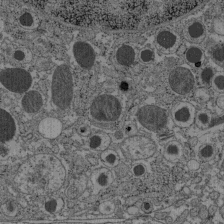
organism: C57BL Mouse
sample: Pancreatic islet